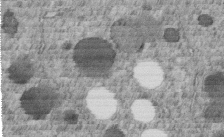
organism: C. elegans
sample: C. elegans embryo early stage